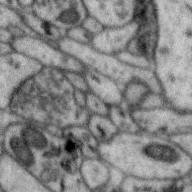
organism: Zebra finch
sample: Brain